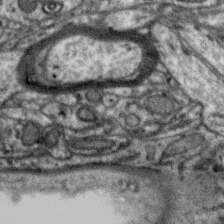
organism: Zebra finch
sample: Brain